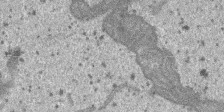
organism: Human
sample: Lung epithelial cells infected with SARS-CoV-2